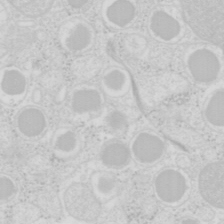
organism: Mouse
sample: Pancreas